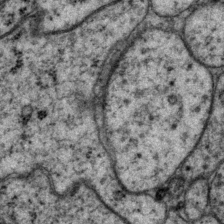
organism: P. pacificus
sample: Pharynx